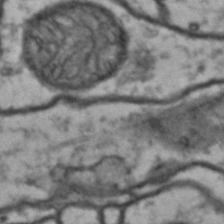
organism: Drosophila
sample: Brain